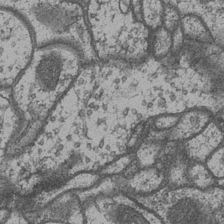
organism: Drosophila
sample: Optic medulla